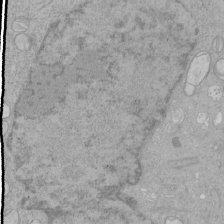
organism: Human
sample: Mitochondria in HCT116 cells